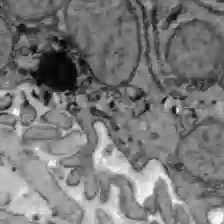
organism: C57BL Mouse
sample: Liver